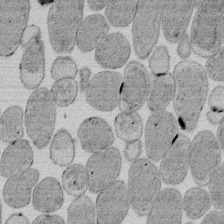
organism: E. coli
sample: Bacterial nucleoid